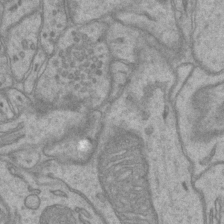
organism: Mouse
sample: CA1 Hippocampus